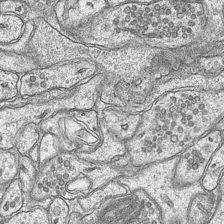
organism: Mouse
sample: CA1 Hippocampus